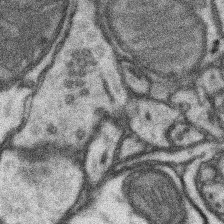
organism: Mouse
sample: Somatosensory cortex neuropil